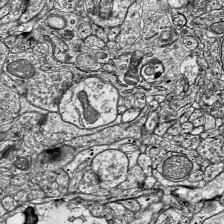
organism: Mouse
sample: Visual Cortex